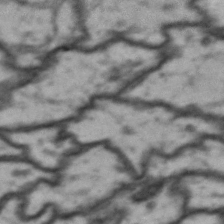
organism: Drosophila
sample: Brain